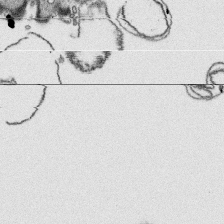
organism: Platynereis dumerilii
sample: Parapodia